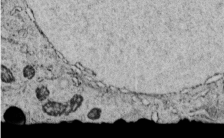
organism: C. elegans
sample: C. elegans embryo early stage